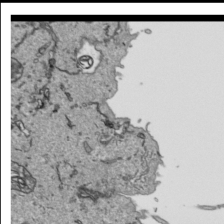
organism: Human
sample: Mitochondria in HCT116 cells